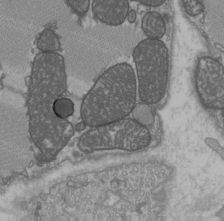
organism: C57BL Mouse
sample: Heart